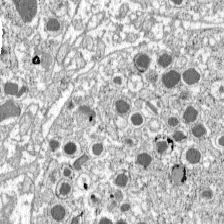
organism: C57BL Mouse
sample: Pancreatic islet